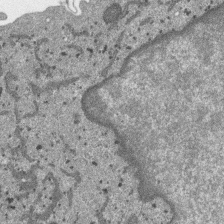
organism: Human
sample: Lung epithelial cells infected with SARS-CoV-2